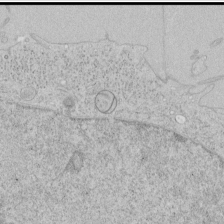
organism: Human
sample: Mitochondria in HCT116 cells